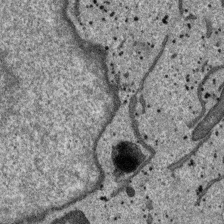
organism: Human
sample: Lung epithelial cells, uninfected (mock) control